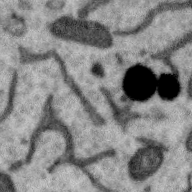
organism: Zebra finch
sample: Brain